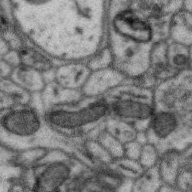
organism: Zebra finch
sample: Brain